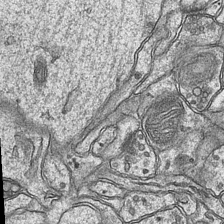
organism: Mouse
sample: CA1 Hippocampus